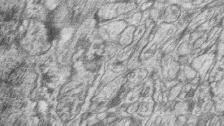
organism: Zebrafish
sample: synaptic ribbons in rod cells and cone cells